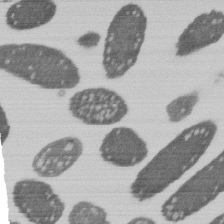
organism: E. coli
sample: Bacterial nucleoid